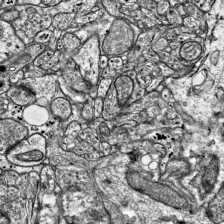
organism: Mouse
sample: Visual Cortex